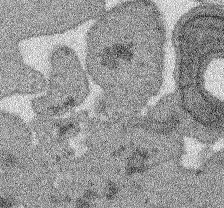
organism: Human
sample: HeLa cells